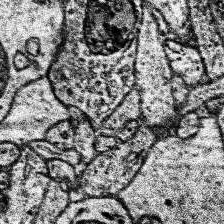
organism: Human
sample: Temporal Lobe